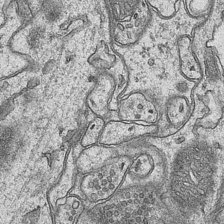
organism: Mouse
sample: CA1 Hippocampus